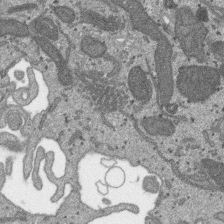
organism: Human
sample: Lung epithelial cells infected with SARS-CoV-2